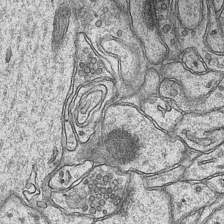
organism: Mouse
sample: CA1 Hippocampus